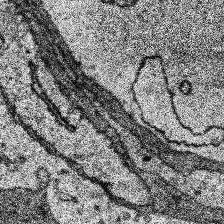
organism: Human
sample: Temporal Lobe